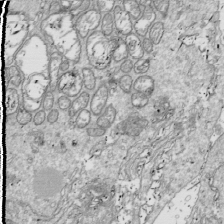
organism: Drosophila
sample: Cell division; meiosis; drosophila spermatocytes